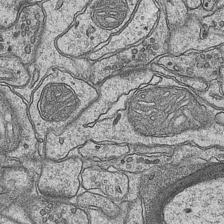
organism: Mouse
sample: CA1 Hippocampus